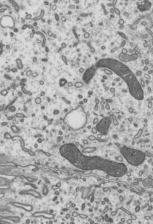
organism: Mouse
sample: Mouse epididymis efferent ductule cilia